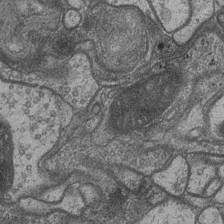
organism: Drosophila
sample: Optic medulla